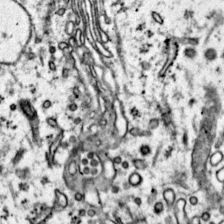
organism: Mouse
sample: Primary visual cortex